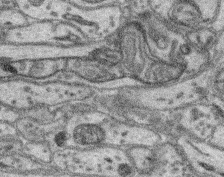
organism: Mouse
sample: Retina